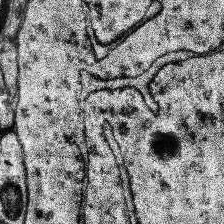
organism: Human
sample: Temporal Lobe